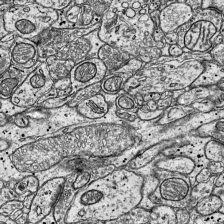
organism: Mouse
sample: Visual Cortex